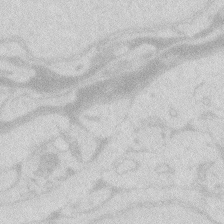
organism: Zebrafish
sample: Macrophage